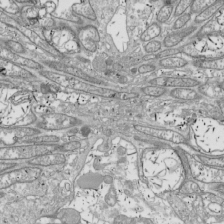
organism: Drosophila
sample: Cell division; meiosis; drosophila spermatocytes